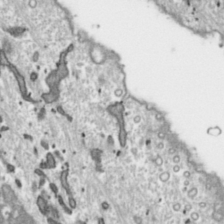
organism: Toxoplasma gondii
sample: Parasites in a vacuole inside a host cell